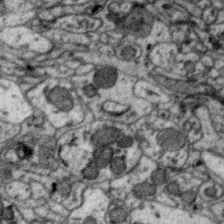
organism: Zebra finch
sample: Brain